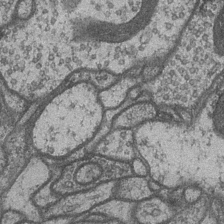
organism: Drosophila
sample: Optic medulla